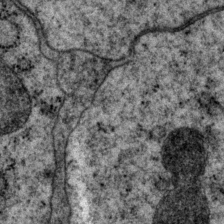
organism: P. pacificus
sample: Pharynx